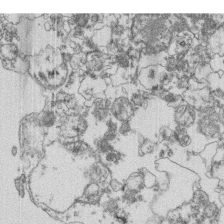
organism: Human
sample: HeLa cell HIV synapse